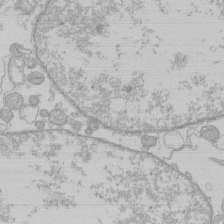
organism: Human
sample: Macrophage cells